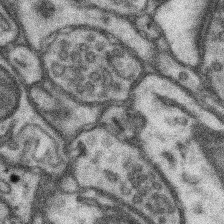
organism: Mouse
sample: Somatosensory cortex neuropil